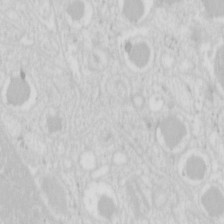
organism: Mouse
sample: Pancreas